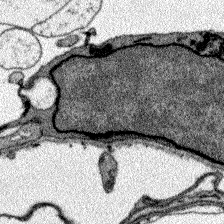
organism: Zebrafish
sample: Larval olfactory bulb